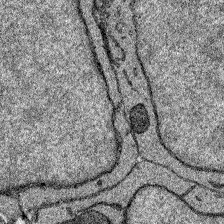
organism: Zebrafish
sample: Larval olfactory bulb